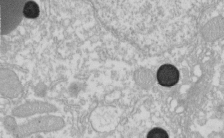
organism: Xenopus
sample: Cilia; centrioles in frog embryo cells